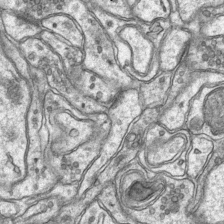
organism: Mouse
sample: CA1 Hippocampus